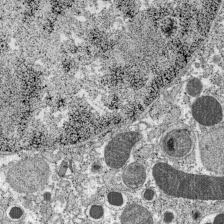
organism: C57BL Mouse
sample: Pancreatic islet